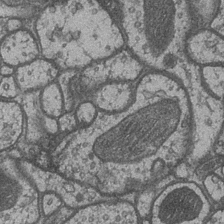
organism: Drosophila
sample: Optic medulla